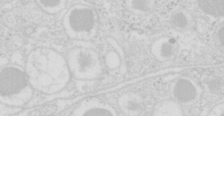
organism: Mouse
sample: Pancreas